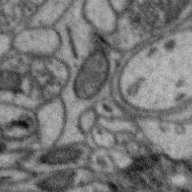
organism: Zebra finch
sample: Brain